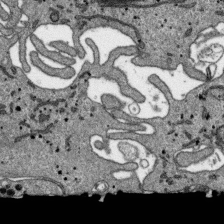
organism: Human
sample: Lung epithelial cells, uninfected (mock) control